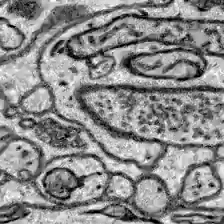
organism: Zebrafish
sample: Brain